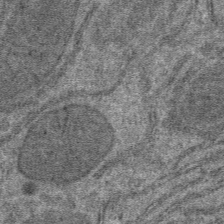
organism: Mouse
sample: Mouse hepatocytes